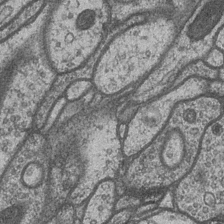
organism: Drosophila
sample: Optic medulla